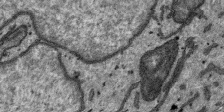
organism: Human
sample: Lung epithelial cells, uninfected (mock) control